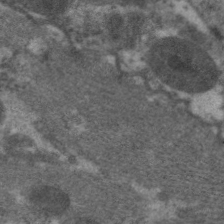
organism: C. elegans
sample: Pharynx